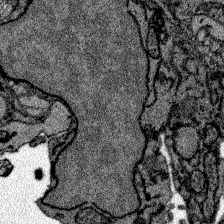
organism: Zebrafish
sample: Larval olfactory bulb